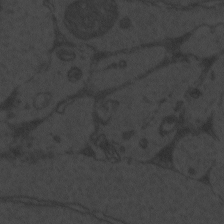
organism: Zebrafish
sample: Macrophage infected with Toxoplasma gondii